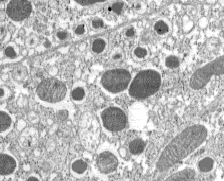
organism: C57BL Mouse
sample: Pancreatic islet